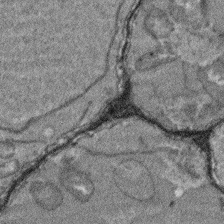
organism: Arabidopsis thaliana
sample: Root tip